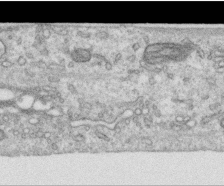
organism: Human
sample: Centriole in RPE cells